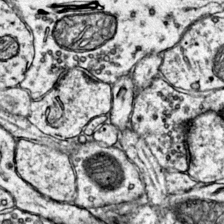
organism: Mouse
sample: Primary visual cortex